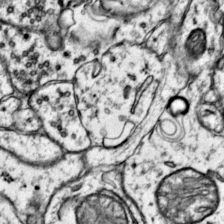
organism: Mouse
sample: Primary visual cortex